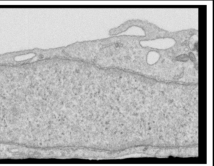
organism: Human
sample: Centriole in RPE cells